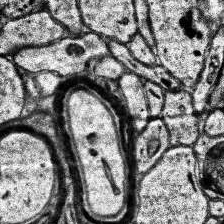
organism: Human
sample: Temporal Lobe